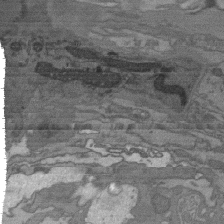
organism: C. elegans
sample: AFD neurons C. elegans